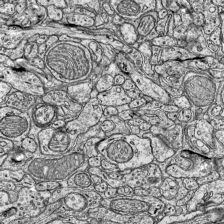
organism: Mouse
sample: Visual Cortex